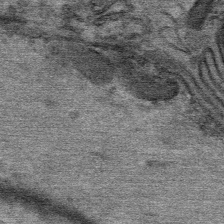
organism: Mouse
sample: Mouse Salivary gland